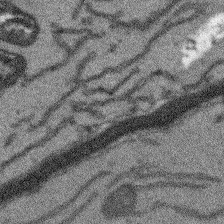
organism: Arabidopsis thaliana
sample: Root tip